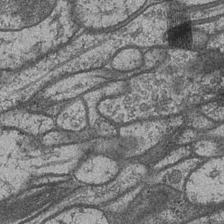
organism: Drosophila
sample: Optic medulla